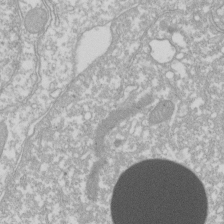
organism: Xenopus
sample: Cilia; centrioles in frog embryo cells